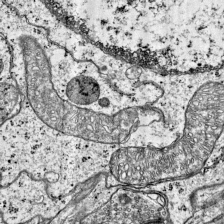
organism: Mouse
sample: Visual Cortex